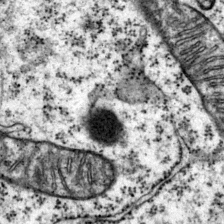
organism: Mouse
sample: Primary visual cortex